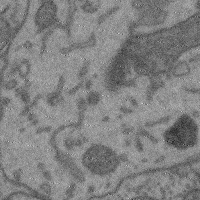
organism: Mouse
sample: Cerebral cortex